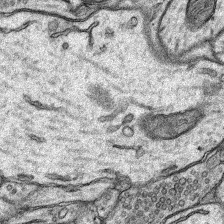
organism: Rat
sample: Hippocampus